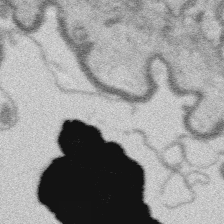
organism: Platynereis dumerilii